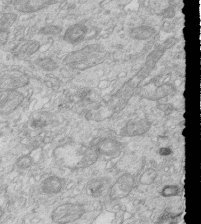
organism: Mouse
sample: Multiciliated cells